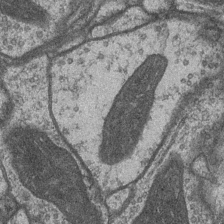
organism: Drosophila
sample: Optic medulla